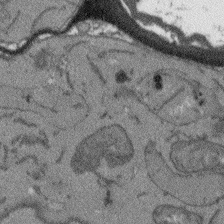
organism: Arabidopsis thaliana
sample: Root tip